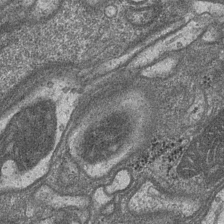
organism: Drosophila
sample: Optic medulla